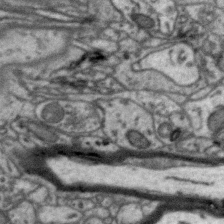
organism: Zebra finch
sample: Brain